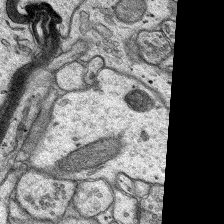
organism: Rat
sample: Hippocampus